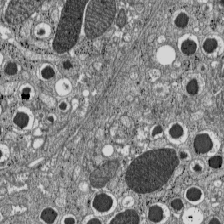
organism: C57BL Mouse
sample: Pancreatic islet